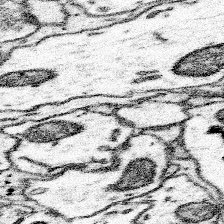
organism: Mouse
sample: Somatosensory cortex neuropil